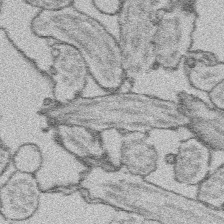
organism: Platynereis dumerilii